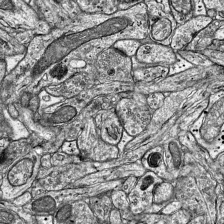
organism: Mouse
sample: Visual Cortex